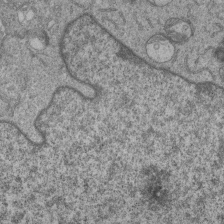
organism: Human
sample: MDA-MB-231 cells